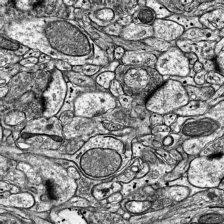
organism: Mouse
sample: Visual Cortex